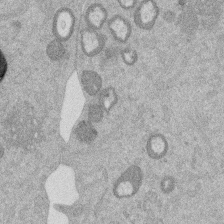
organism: Mouse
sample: Dividing mouse embryo 1 cell stage